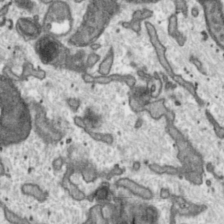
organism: Toxoplasma gondii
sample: Parasites in a vacuole inside a host cell